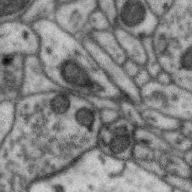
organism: Zebra finch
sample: Brain